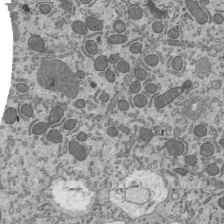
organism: Mouse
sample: Mouse epididymis efferent ductule cilia